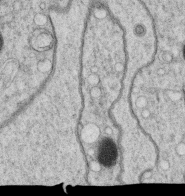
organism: C. elegans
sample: C. elegans oocyte; sperm cells